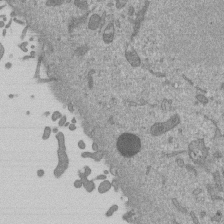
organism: Mouse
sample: ED-1 cell nuclei; centrioles